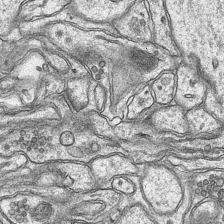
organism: Mouse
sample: CA1 Hippocampus